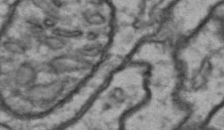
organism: Drosophila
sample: Brain